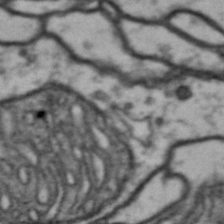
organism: Drosophila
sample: Brain